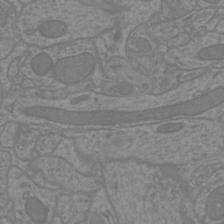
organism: Mouse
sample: Cortical neurons